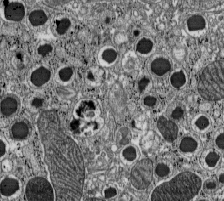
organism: C57BL Mouse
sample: Pancreatic islet